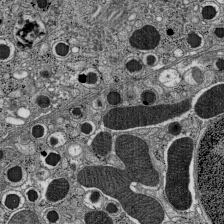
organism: C57BL Mouse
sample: Pancreatic islet